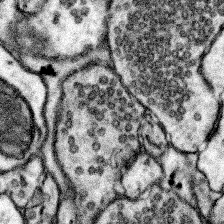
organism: Mouse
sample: Somatosensory cortex neuropil